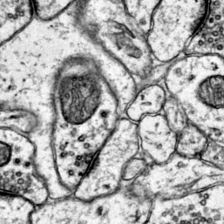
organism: Mouse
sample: Primary visual cortex